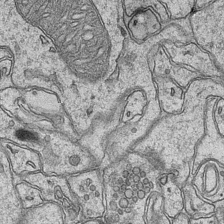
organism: Mouse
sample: CA1 Hippocampus